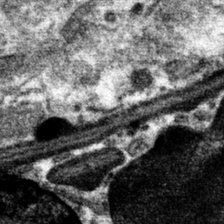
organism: Mouse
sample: Mouse hepatocytes